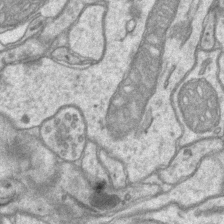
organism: Mouse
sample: CA1 Hippocampus